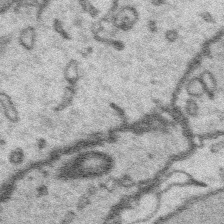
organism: Platynereis dumerilii